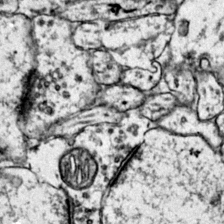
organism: Mouse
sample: Primary visual cortex